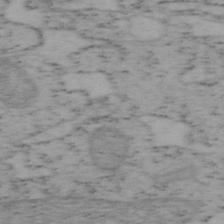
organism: Mouse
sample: OT-I killer T cells with ID8 ovarian cancer cells